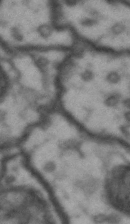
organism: Drosophila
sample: Brain